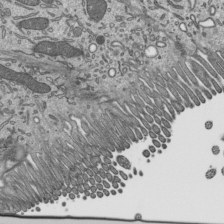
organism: Mouse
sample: Mouse epididymis efferent ductule cilia